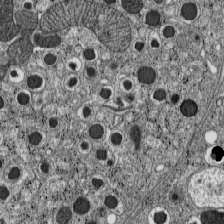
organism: C57BL Mouse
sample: Pancreatic islet